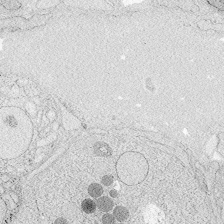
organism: Zebrafish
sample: Whole-Brain